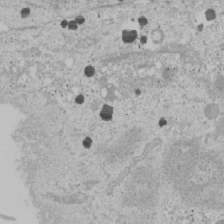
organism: Human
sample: Mitochondria in U2OS cells